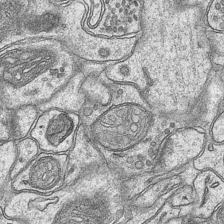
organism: Mouse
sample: CA1 Hippocampus